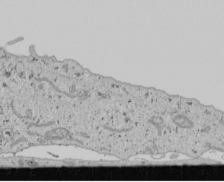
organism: Human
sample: Mitochondria in U2OS cells